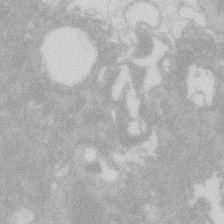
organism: Zebrafish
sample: Macrophage